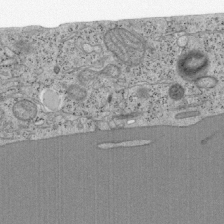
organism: Human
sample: HeLa cells